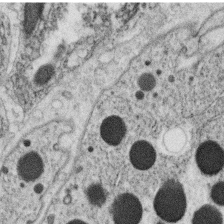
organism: C. elegans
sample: C. elegans oocyte; sperm cells